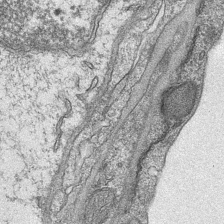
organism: Mouse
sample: CA1 Hippocampus